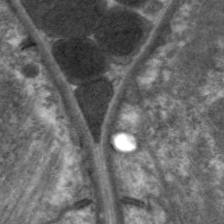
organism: C. elegans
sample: Pharynx